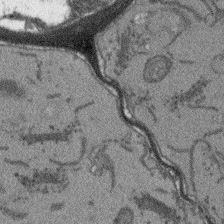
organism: Arabidopsis thaliana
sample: Root tip